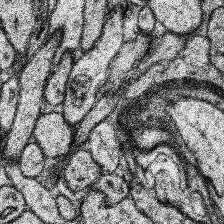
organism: Human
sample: Temporal Lobe